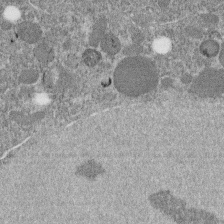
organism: C. elegans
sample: C. elegans embryo early stage